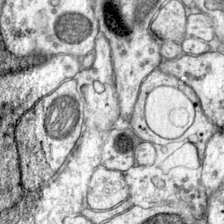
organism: Mouse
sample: Primary visual cortex